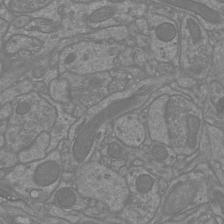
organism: Mouse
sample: Cortical neurons